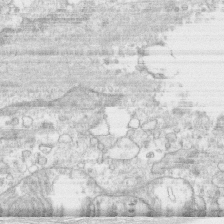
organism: Human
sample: CRL-1474